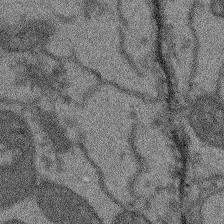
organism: Arabidopsis thaliana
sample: Root tip